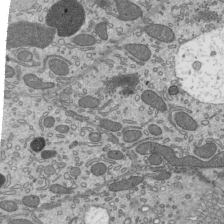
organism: Mouse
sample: Mouse epididymis efferent ductule cilia